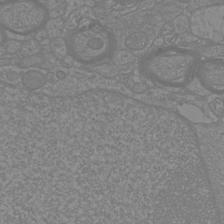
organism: Mouse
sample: Cortical neurons